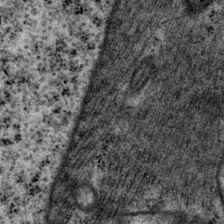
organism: P. pacificus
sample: Pharynx